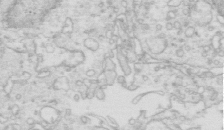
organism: Mouse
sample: Multiciliated cells